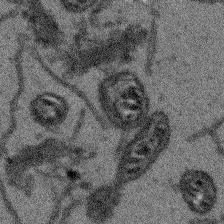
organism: Arabidopsis thaliana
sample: Root tip